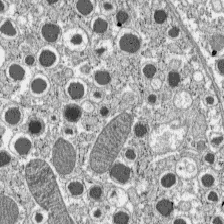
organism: C57BL Mouse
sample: Pancreatic islet